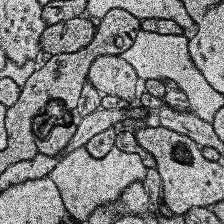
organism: Human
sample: Temporal Lobe